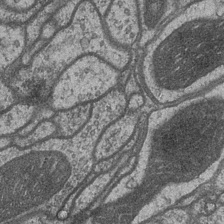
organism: Drosophila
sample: Optic medulla